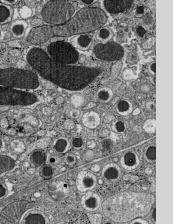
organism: C57BL Mouse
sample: Pancreatic islet